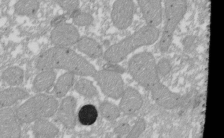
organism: Xenopus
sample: Cilia; centrioles in frog embryo cells